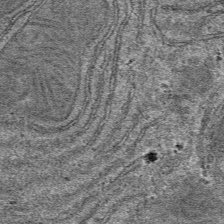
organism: Mouse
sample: Mouse hepatocytes